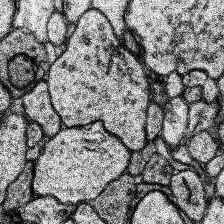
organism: Human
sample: Temporal Lobe